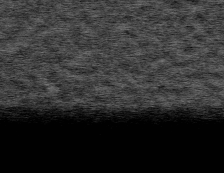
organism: Human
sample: HeLa cells